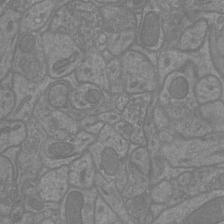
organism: Mouse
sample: Cortical neurons